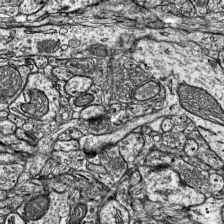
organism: Mouse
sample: Visual Cortex